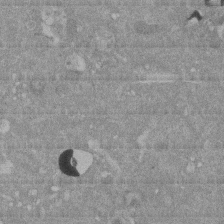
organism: Mouse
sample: ED-1 cell nuclei; centrioles